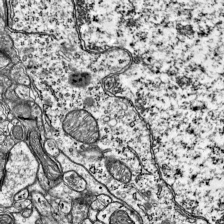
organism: Mouse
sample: Visual Cortex